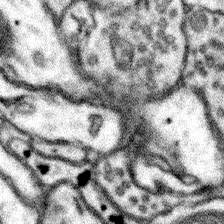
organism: Mouse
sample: Somatosensory cortex neuropil